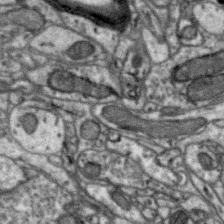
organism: Zebra finch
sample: Brain